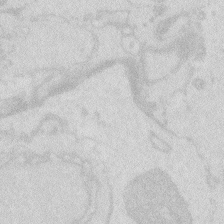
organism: Zebrafish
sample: Macrophage